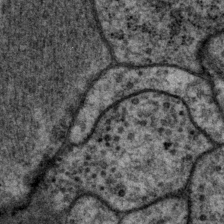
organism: P. pacificus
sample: Pharynx